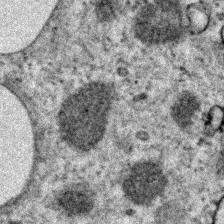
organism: Zebrafish